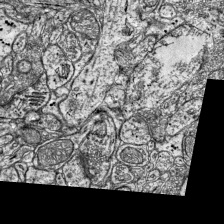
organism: Mouse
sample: Visual Cortex